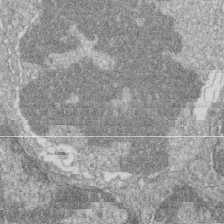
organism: Zebrafish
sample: Cilia; retinal pigment epithelium